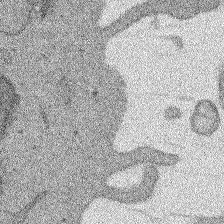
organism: Human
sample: HeLa cells